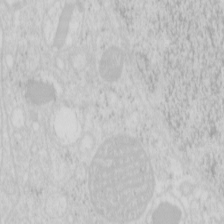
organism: Mouse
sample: Pancreas